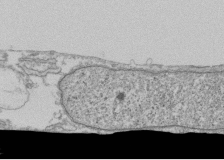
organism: Human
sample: Fibroblast cells